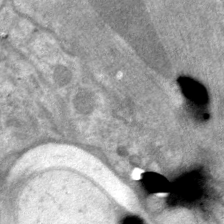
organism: C. elegans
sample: Pharynx